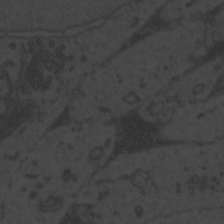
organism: Zebrafish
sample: Macrophage infected with Toxoplasma gondii